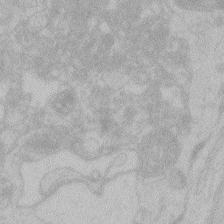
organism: Zebrafish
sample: Macrophage infected with Toxoplasma gondii